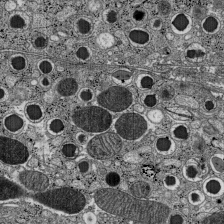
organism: C57BL Mouse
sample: Pancreatic islet